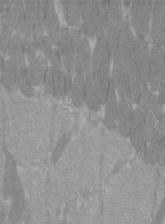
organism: C57BL Mouse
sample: Tibialis anterior muscle cell